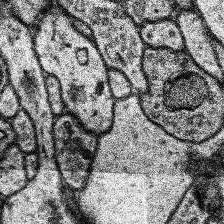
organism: Human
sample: Temporal Lobe